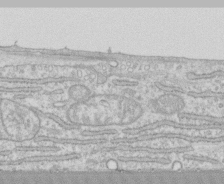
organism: Human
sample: CRL-1474